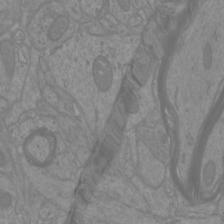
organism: Mouse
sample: Cortical neurons